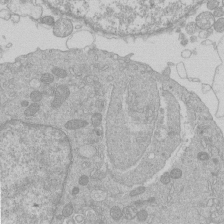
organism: Human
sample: Macrophage cells